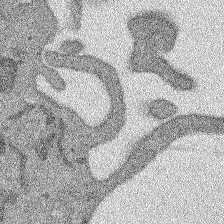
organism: Human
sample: HeLa cells